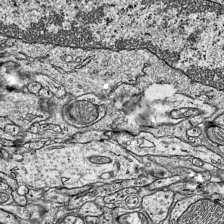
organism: Mouse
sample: Visual Cortex